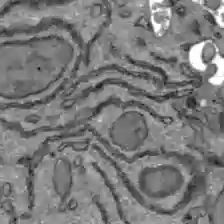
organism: C57BL Mouse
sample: Liver